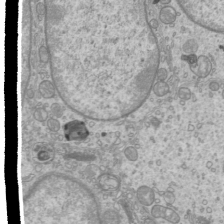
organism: Mouse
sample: Cilia; mouse epididymis